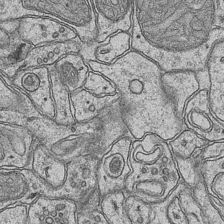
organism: Mouse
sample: CA1 Hippocampus